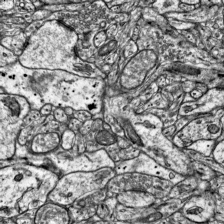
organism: Mouse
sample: Visual Cortex